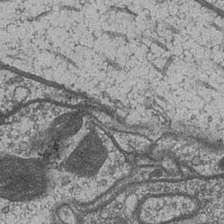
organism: Drosophila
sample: Optic medulla